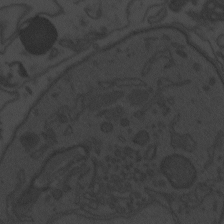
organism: Zebrafish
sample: Macrophage infected with Toxoplasma gondii